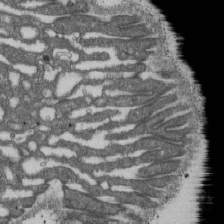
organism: Drosophila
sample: Nephrocyte